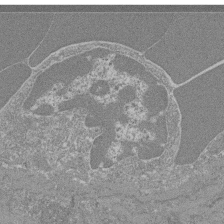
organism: Mouse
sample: Glomerulus